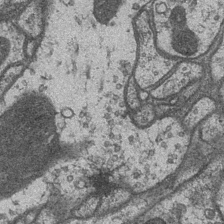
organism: Drosophila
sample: Optic medulla